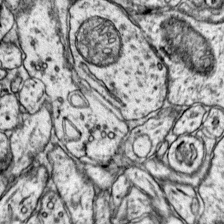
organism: Mouse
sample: Primary visual cortex